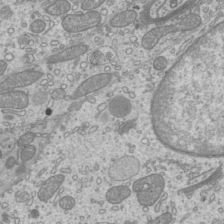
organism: Mouse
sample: Cilia; mouse epididymis